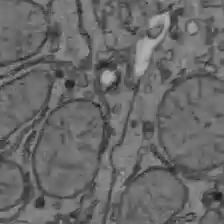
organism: C57BL Mouse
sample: Liver